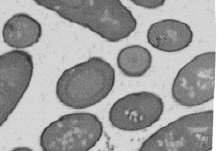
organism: B. subtilis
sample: Bacterial spore